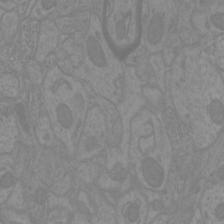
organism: Mouse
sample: Cortical neurons